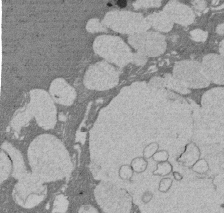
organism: Rat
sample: Salivary granule